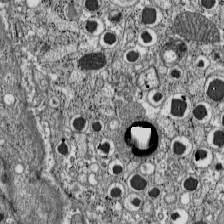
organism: C57BL Mouse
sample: Pancreatic islet